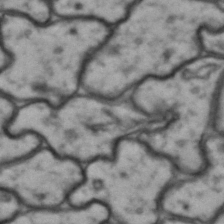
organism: Drosophila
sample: Brain